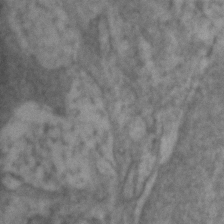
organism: Zebrafish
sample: Zebrafish embryo